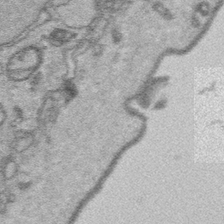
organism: Platynereis dumerilii